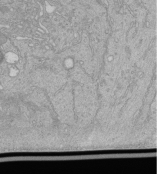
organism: Human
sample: Retinal organoid Rod and Cone cells